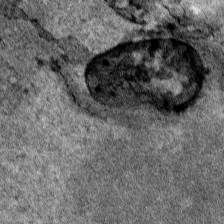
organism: Human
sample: Mitochondria in HCT116 cells